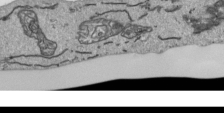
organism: Human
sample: Mitochondria in HCT116 cells